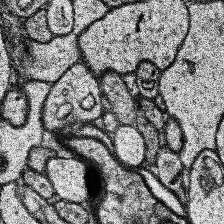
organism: Human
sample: Temporal Lobe